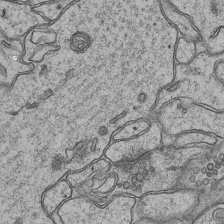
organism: Mouse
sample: CA1 Hippocampus